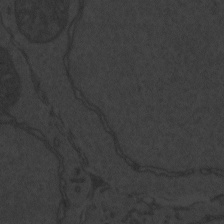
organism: Zebrafish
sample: Macrophage infected with Toxoplasma gondii